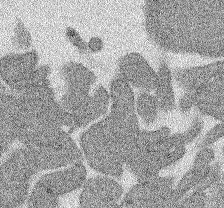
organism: Human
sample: HeLa cells